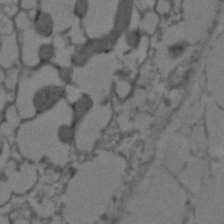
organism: C. elegans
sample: C. elegans embryo